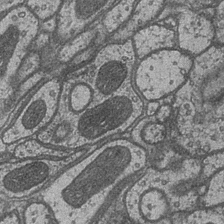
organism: Drosophila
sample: Optic medulla